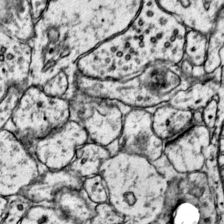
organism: Mouse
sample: Primary visual cortex